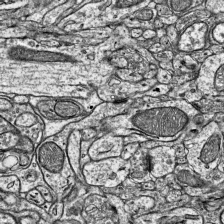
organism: Mouse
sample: Visual Cortex